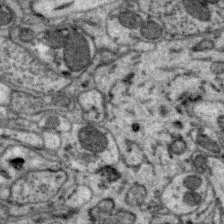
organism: Zebra finch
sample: Brain